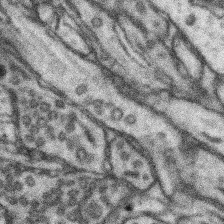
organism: Mouse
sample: Somatosensory cortex neuropil